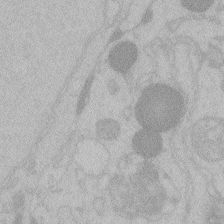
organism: Zebrafish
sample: Macrophage infected with Toxoplasma gondii